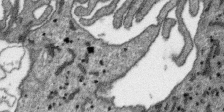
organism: Human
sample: Lung epithelial cells, uninfected (mock) control